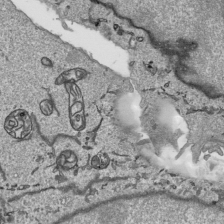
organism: Human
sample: Mitochondria in HCT116 cells